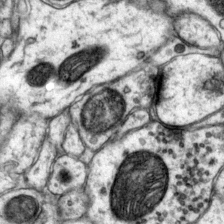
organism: Mouse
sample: Primary visual cortex